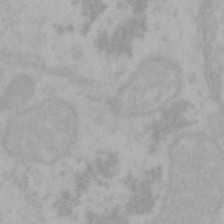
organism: Mouse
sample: Choroid plexus